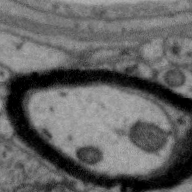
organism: Zebra finch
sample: Brain